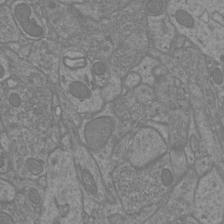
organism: Mouse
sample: Cortical neurons